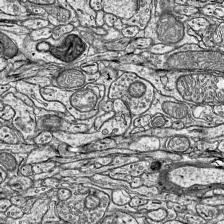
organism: Mouse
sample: Visual Cortex